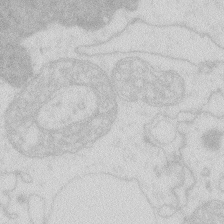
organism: Zebrafish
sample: Macrophage